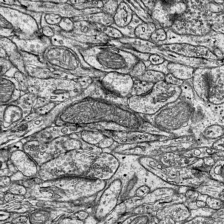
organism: Mouse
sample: Visual Cortex